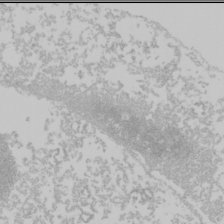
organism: Mouse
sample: Cancer cell death in ED-1 cells